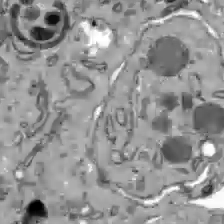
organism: C57BL Mouse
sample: Liver